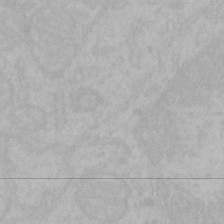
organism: Mouse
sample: Choroid plexus